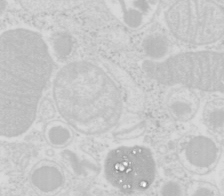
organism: Mouse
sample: Pancreas